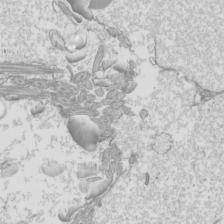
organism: Mouse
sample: Cilia; mouse epididymis